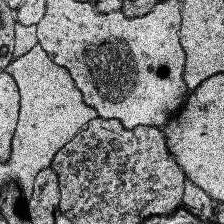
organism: Human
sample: Temporal Lobe